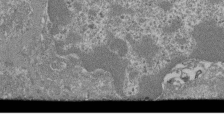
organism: Mouse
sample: Glomerulus